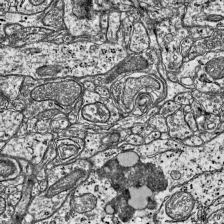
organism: Mouse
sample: Visual Cortex